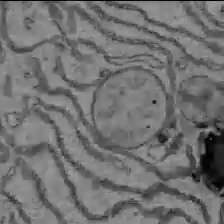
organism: C57BL Mouse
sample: Liver